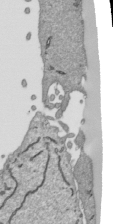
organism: Human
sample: Mitochondria in HCT116 cells